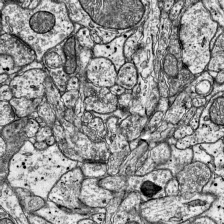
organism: Mouse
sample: Visual Cortex